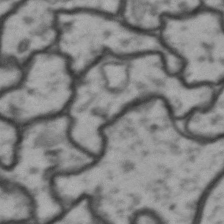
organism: Drosophila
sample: Brain